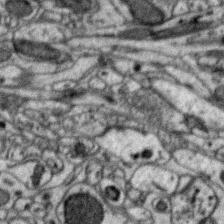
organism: Zebra finch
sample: Brain